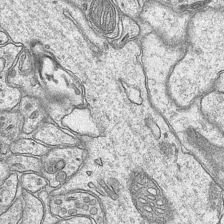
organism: Mouse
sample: CA1 Hippocampus